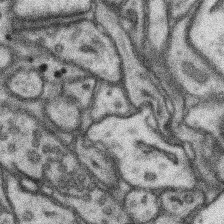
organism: Mouse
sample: Somatosensory cortex neuropil